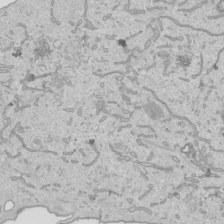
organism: Human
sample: Mitochondria in HCT116 cells